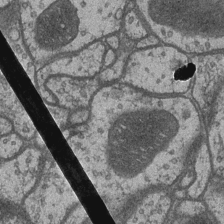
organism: Drosophila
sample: Optic medulla